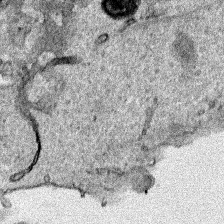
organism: Human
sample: Mitochondria in HCT116 cells